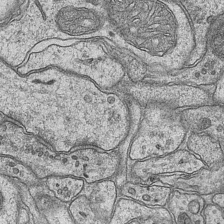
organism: Mouse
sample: CA1 Hippocampus